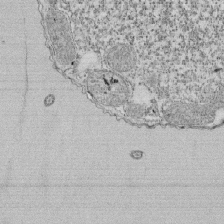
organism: Tetrahymena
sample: Cilia in tetrahymena